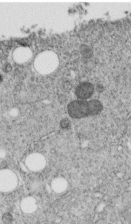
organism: C. elegans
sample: C. elegans embryo early stage